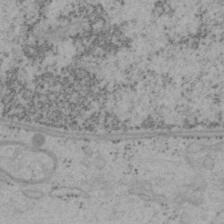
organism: Human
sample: HeLa cells